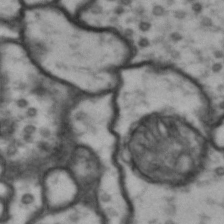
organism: Drosophila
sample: Brain